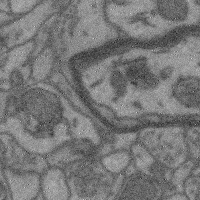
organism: Mouse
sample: Cerebral cortex